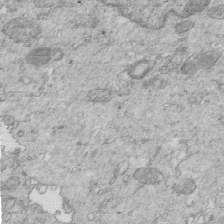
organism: Mouse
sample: Multiciliated cells